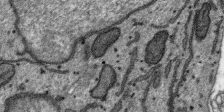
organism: Human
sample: Lung epithelial cells, uninfected (mock) control